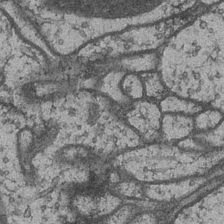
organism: Drosophila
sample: Optic medulla